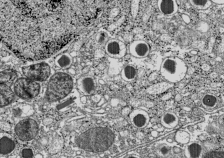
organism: C57BL Mouse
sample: Pancreatic islet